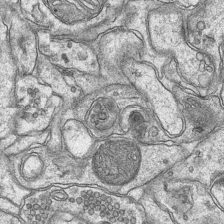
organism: Mouse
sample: CA1 Hippocampus